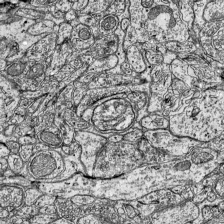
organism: Mouse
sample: Visual Cortex